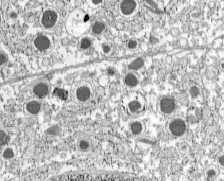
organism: C57BL Mouse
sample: Pancreatic islet